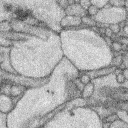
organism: Rabbit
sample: Retina